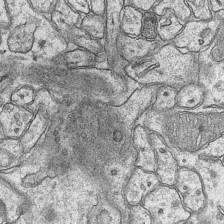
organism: Mouse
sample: CA1 Hippocampus